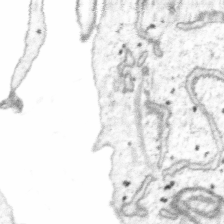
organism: Human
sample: HeLa cells